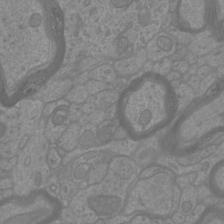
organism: Mouse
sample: Cortical neurons